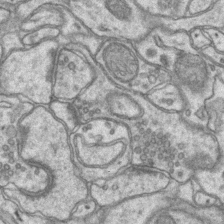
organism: Mouse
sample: CA1 Hippocampus